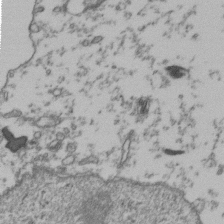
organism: Human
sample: Activated Jurkat CD4+ T cells